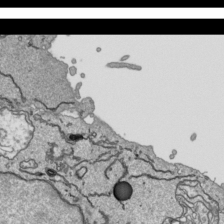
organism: Human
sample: Mitochondria in HCT116 cells